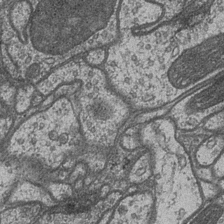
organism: Drosophila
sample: Optic medulla